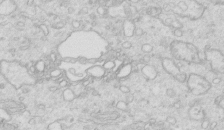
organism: Mouse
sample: Multiciliated cells